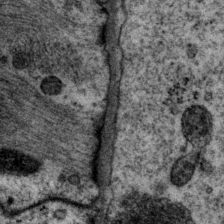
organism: P. pacificus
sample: Pharynx